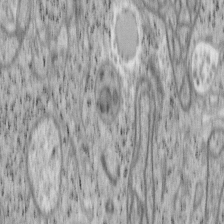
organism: Human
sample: HeLa cells